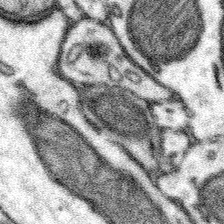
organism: Mouse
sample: Somatosensory cortex neuropil